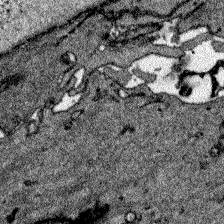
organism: Zebrafish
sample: Larval olfactory bulb